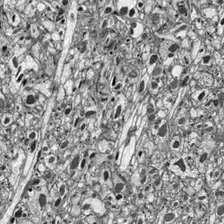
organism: Drosophila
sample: Optic lobe